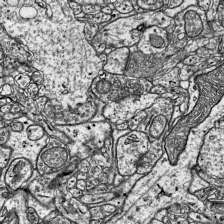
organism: Mouse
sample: Visual Cortex